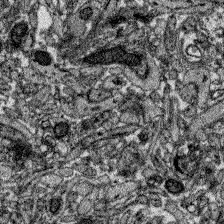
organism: Zebrafish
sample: Larval olfactory bulb